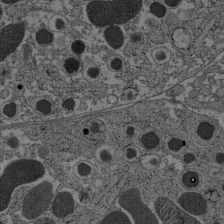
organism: C57BL Mouse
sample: Pancreatic islet